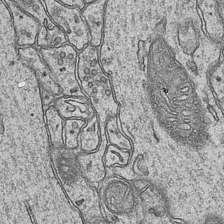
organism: Mouse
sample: CA1 Hippocampus